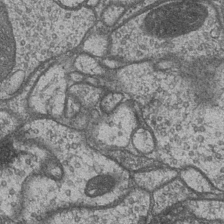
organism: Drosophila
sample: Optic medulla